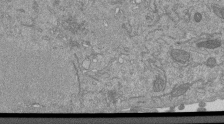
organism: Mouse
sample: ED-1 cell nuclei; centrioles